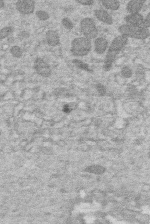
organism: Human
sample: Macrophage cells